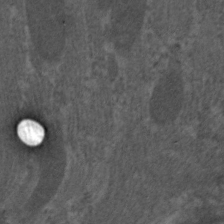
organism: C. elegans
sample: Pharynx